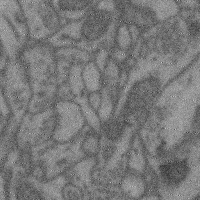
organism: Mouse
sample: Cerebral cortex